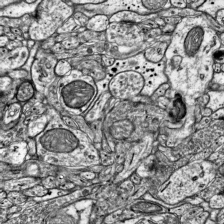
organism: Mouse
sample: Visual Cortex